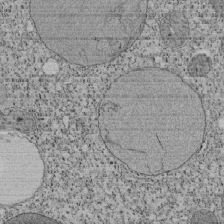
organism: Tetrahymena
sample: Cilia in tetrahymena